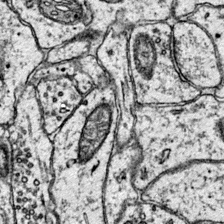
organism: Mouse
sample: Primary visual cortex